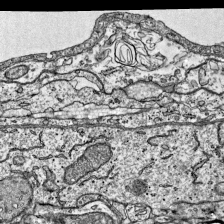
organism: Mouse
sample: Visual Cortex